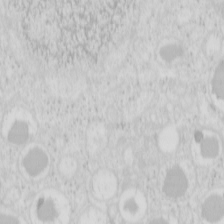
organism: Mouse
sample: Pancreas